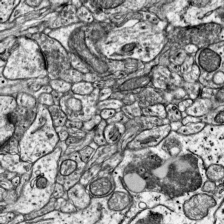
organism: Mouse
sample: Visual Cortex